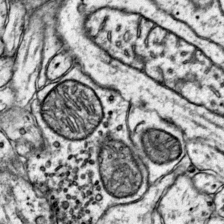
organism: Mouse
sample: Primary visual cortex